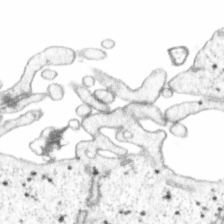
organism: Human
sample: HeLa cells